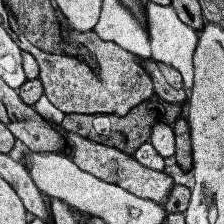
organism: Human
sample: Temporal Lobe